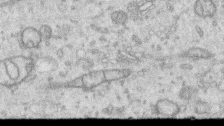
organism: Human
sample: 1205lu cells